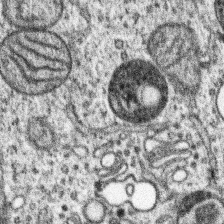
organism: Human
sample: HeLa cells